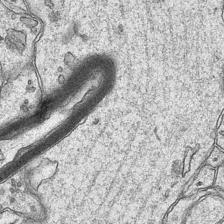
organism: Mouse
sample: CA1 Hippocampus